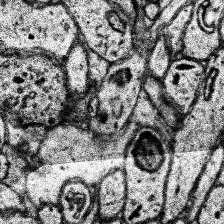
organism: Human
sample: Temporal Lobe